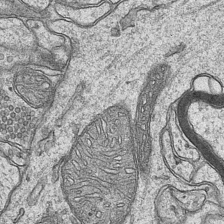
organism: Mouse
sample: CA1 Hippocampus